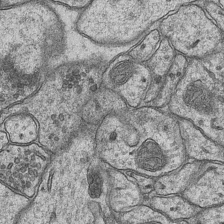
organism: Mouse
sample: CA1 Hippocampus